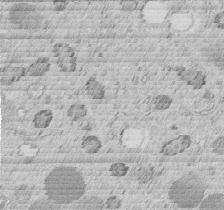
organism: C. elegans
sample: C. elegans embryo early stage